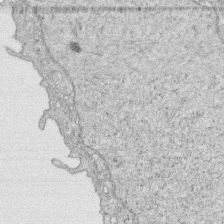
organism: Human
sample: HeLa cell HIV synapse